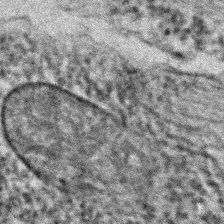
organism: C. elegans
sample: C. elegans embryo